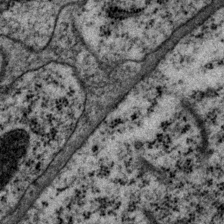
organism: P. pacificus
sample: Pharynx